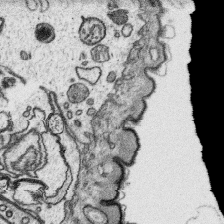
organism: Platynereis dumerilii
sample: Parapodia